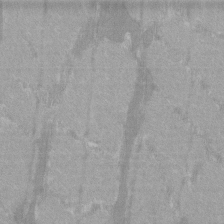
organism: C57BL Mouse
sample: Tibialis anterior muscle cell